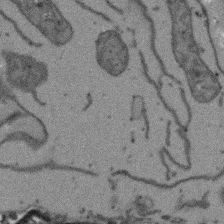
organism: Arabidopsis thaliana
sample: Root tip